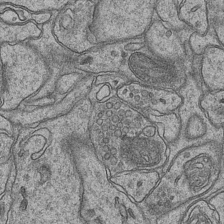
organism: Mouse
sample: CA1 Hippocampus